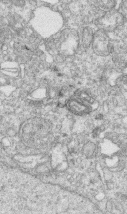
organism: Human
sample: HeLa cell HIV synapse